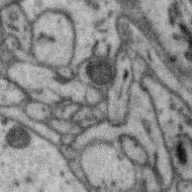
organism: Zebra finch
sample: Brain